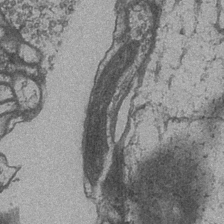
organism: Drosophila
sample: Optic medulla